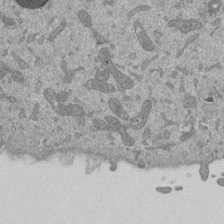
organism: Mouse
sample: ED-1 cell nuclei; centrioles